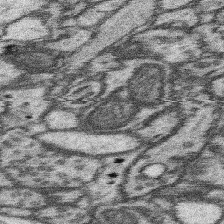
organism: Mouse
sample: Somatosensory cortex neuropil